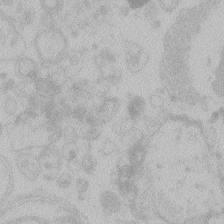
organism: Zebrafish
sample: Macrophage infected with Toxoplasma gondii